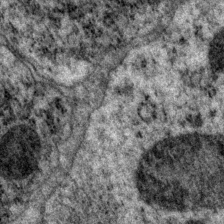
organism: P. pacificus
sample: Pharynx